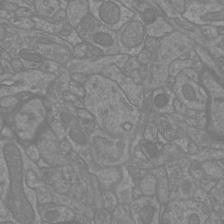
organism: Mouse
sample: Cortical neurons